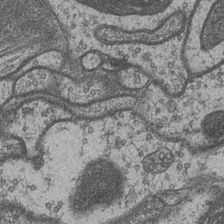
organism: Drosophila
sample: Optic medulla